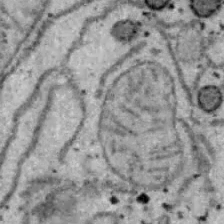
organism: Mouse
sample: Liver from an obese (ob/ob) mouse